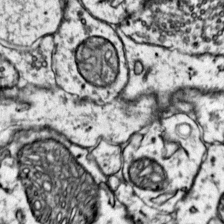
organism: Mouse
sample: Primary visual cortex